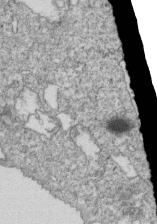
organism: Human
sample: HeLa cell HIV synapse